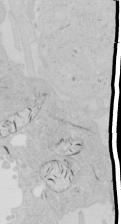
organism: Human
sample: Mitochondria in HCT116 cells